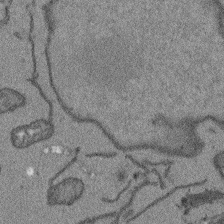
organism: Arabidopsis thaliana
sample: Root tip